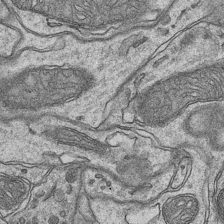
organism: Mouse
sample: CA1 Hippocampus